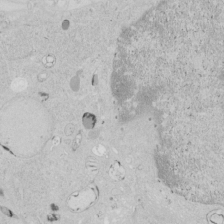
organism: Human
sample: Mitochondria in HCT116 cells